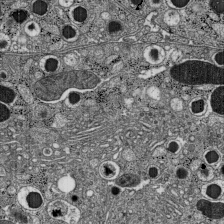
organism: C57BL Mouse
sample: Pancreatic islet